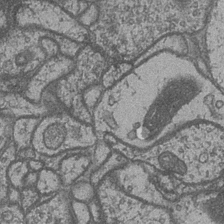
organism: Drosophila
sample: Optic medulla